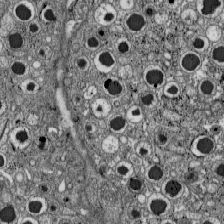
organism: C57BL Mouse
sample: Pancreatic islet